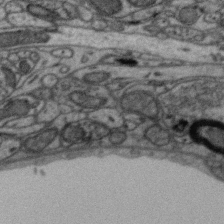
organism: Zebra finch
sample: Brain